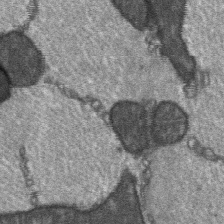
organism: C57BL Mouse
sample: Soleus